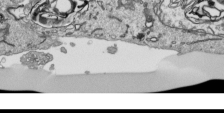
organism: Human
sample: Mitochondria in HCT116 cells